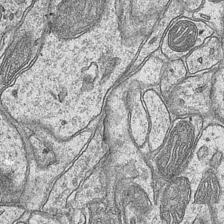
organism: Mouse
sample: CA1 Hippocampus